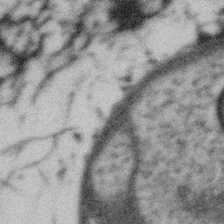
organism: Gemmata obscuriglobus